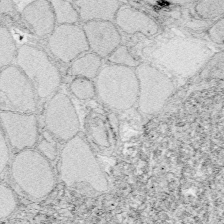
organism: Zebrafish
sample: Whole-Brain